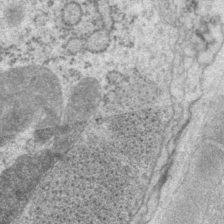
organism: P. pacificus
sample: Pharynx